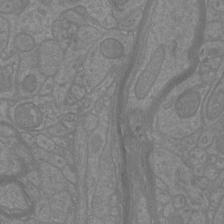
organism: Mouse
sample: Cortical neurons